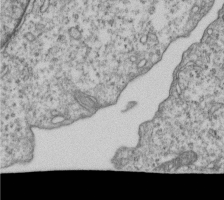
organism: Human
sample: MDA-MB-231 cells